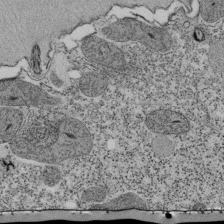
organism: Tetrahymena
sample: Cilia in tetrahymena